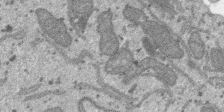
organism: Human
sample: Lung epithelial cells infected with SARS-CoV-2